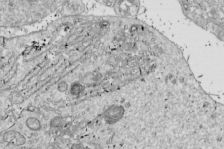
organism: Drosophila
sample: Cell division; meiosis; drosophila spermatocytes